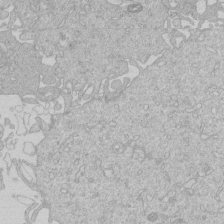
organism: Human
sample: Macrophage cells